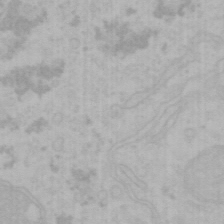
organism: Mouse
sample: Choroid plexus